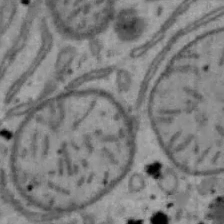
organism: Mouse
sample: Liver